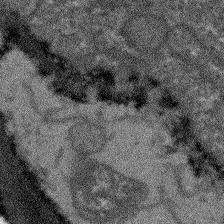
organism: Arabidopsis thaliana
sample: Root tip